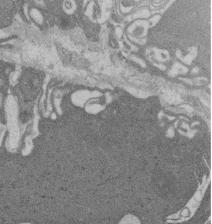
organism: Rat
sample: Salivary granule